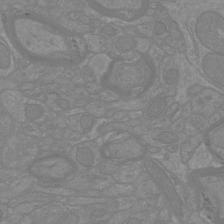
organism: Mouse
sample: Cortical neurons